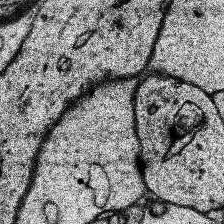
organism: Human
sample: Temporal Lobe